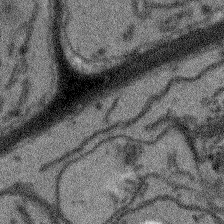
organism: Arabidopsis thaliana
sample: Root tip